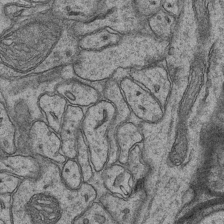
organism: Mouse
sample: CA1 Hippocampus